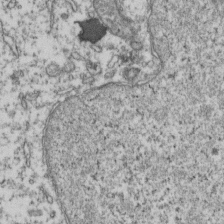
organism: Human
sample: Activated Jurkat CD4+ T cells